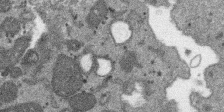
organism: Human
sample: Lung epithelial cells infected with SARS-CoV-2